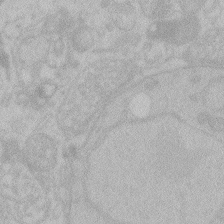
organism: Zebrafish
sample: Macrophage infected with Toxoplasma gondii